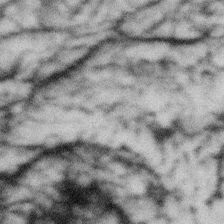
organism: Gemmata obscuriglobus